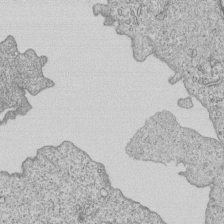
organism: Human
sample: MDA-MB-231 cells